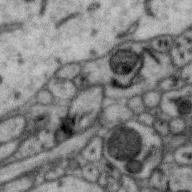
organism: Zebra finch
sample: Brain